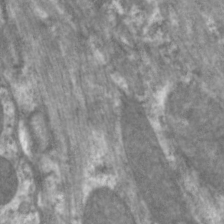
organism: C. elegans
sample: Pharynx